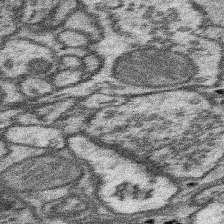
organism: Mouse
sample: Somatosensory cortex neuropil